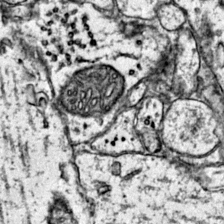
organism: Mouse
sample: Primary visual cortex